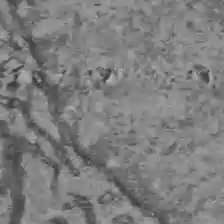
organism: C57BL Mouse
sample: Liver